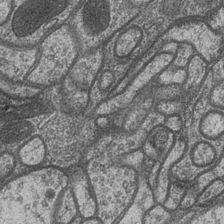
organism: Drosophila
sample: Optic medulla